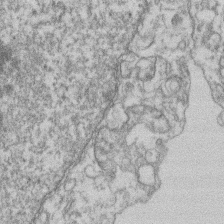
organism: Mouse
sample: T cell stromal cell synapse